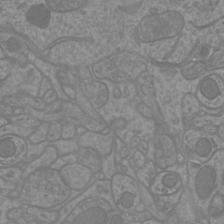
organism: Mouse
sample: Cortical neurons